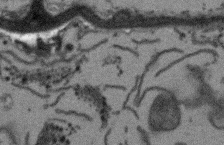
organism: Arabidopsis thaliana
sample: Root tip